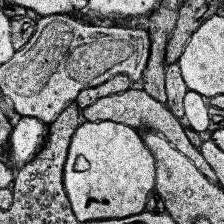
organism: Human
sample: Temporal Lobe